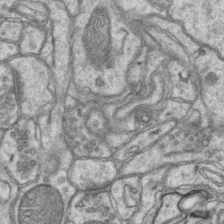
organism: Mouse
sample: CA1 Hippocampus